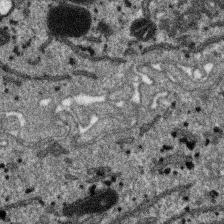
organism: Human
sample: Lung epithelial cells infected with SARS-CoV-2